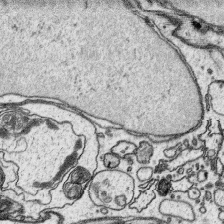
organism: Platynereis dumerilii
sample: Parapodia